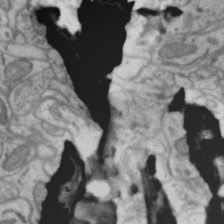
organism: Zebra finch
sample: Brain